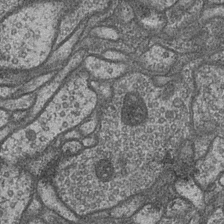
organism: Drosophila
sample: Optic medulla